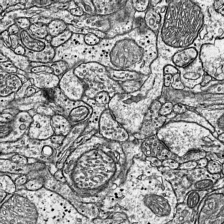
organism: Mouse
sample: Visual Cortex